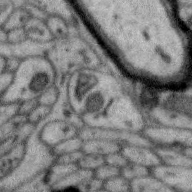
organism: Zebra finch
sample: Brain